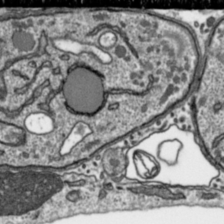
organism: Toxoplasma gondii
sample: Parasites in a vacuole inside a host cell